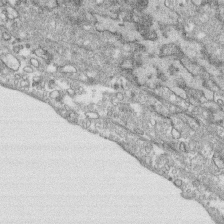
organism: Human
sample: CRL-1474